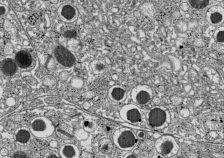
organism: C57BL Mouse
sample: Pancreatic islet